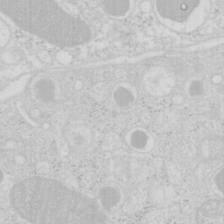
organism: Mouse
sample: Pancreas